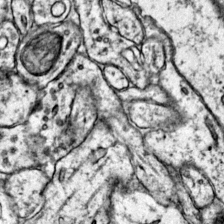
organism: Mouse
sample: Primary visual cortex